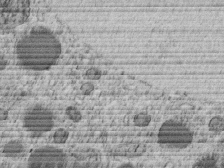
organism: C. elegans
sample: C. elegans embryo early stage